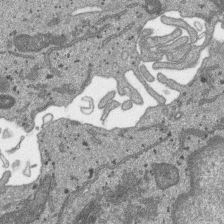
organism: Human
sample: Lung epithelial cells infected with SARS-CoV-2